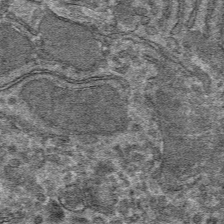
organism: Mouse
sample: Mouse hepatocytes